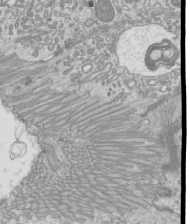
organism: Mouse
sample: Cilia; mouse epididymis